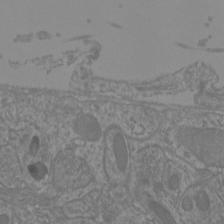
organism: Mouse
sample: Cortical neurons